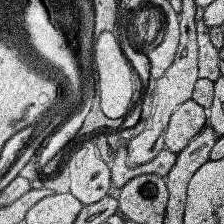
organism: Human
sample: Temporal Lobe